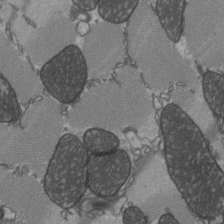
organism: C57BL Mouse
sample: Heart